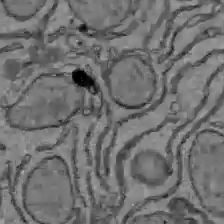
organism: C57BL Mouse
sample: Liver